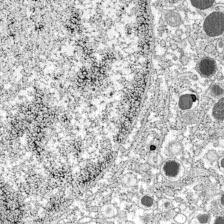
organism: C57BL Mouse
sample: Pancreatic islet